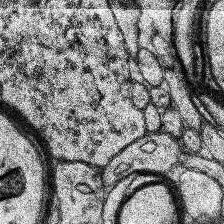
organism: Human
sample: Temporal Lobe